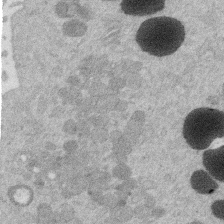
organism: Mouse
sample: Dividing mouse embryo 1 cell stage